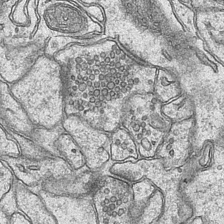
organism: Mouse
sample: CA1 Hippocampus